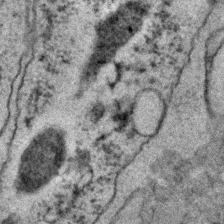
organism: C. elegans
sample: C. elegans embryo